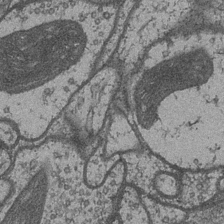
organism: Drosophila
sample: Optic medulla